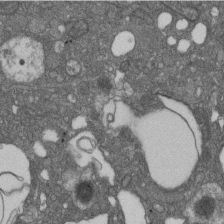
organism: Drosophila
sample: Nephrocyte